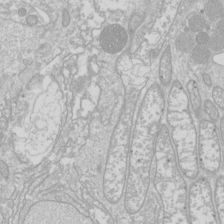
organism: Drosophila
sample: Cell division; meiosis; drosophila spermatocytes